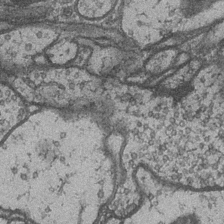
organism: Drosophila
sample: Optic medulla